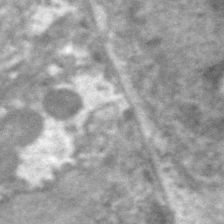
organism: C. elegans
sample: Pharynx